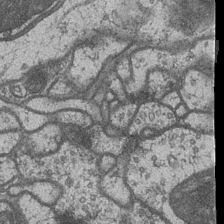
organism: Drosophila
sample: Optic medulla